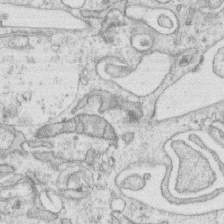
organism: Human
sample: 1205lu cells